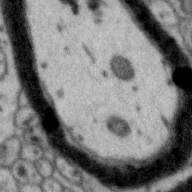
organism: Zebra finch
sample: Brain